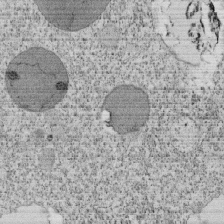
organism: Tetrahymena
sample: Cilia in tetrahymena